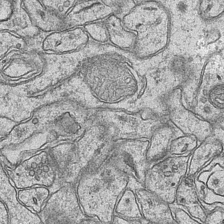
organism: Mouse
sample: CA1 Hippocampus